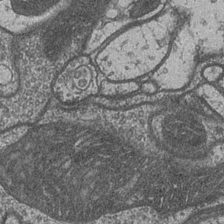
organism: Drosophila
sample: Optic medulla